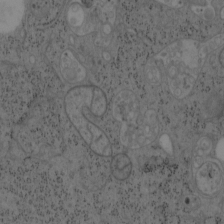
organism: Mouse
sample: OT-I killer T cells with ID8 ovarian cancer cells